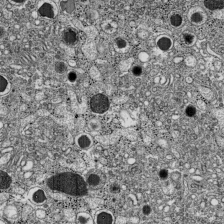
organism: C57BL Mouse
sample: Pancreatic islet